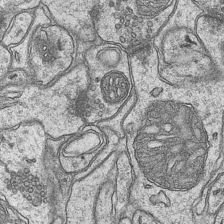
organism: Mouse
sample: CA1 Hippocampus